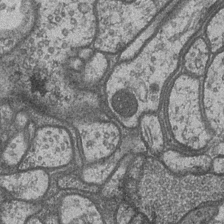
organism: Drosophila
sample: Optic medulla